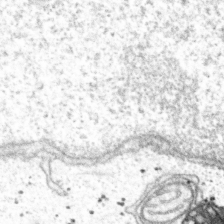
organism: Human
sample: HeLa cells